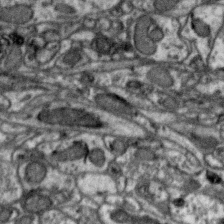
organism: Zebra finch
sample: Brain